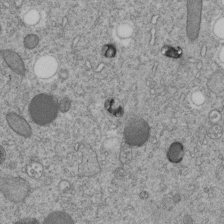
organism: C. elegans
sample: C. elegans embryo early stage